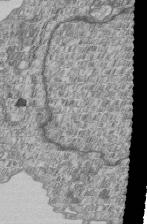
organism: Human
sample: MDA-MB-231 cells